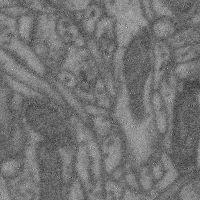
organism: Mouse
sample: Cerebral cortex